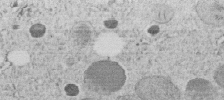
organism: C. elegans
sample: C. elegans embryo early stage